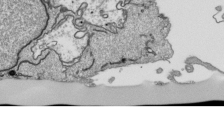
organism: Human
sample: Mitochondria in HCT116 cells